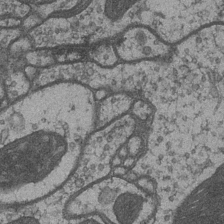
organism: Drosophila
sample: Optic medulla